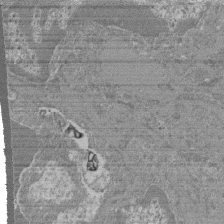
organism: Mouse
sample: Glomerulus